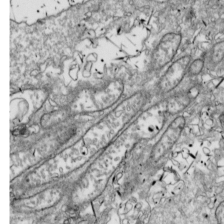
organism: Drosophila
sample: Cell division; meiosis; drosophila spermatocytes